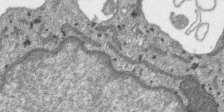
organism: Human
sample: Lung epithelial cells infected with SARS-CoV-2